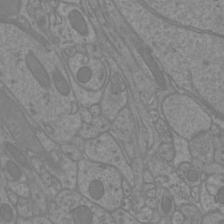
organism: Mouse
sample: Cortical neurons